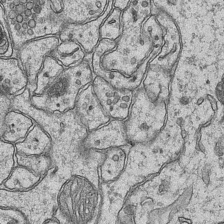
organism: Mouse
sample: CA1 Hippocampus